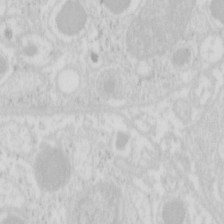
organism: Mouse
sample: Pancreas